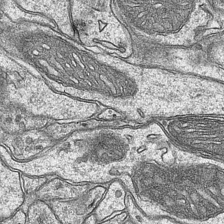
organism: Mouse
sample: CA1 Hippocampus